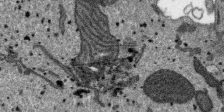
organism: Human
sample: Lung epithelial cells, uninfected (mock) control